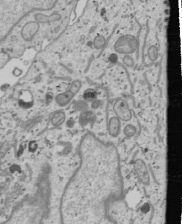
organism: Human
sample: Mitochondria in U2OS cells